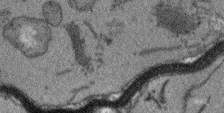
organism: Arabidopsis thaliana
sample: Root tip